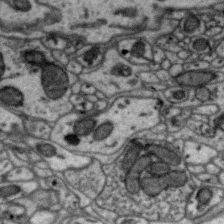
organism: Zebra finch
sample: Brain